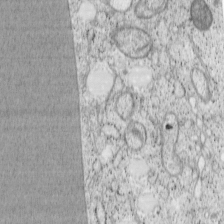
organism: African green monkey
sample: COS-7 cells